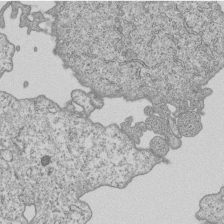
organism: Human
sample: MDA-MB-231 cells